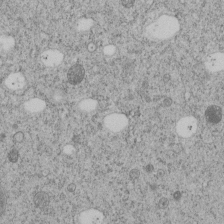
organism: C. elegans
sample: C. elegans embryo early stage